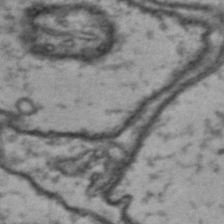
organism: Drosophila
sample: Brain